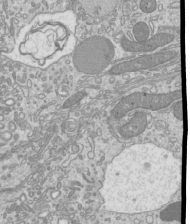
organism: Mouse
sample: Cilia; mouse epididymis